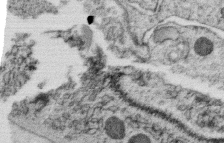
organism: C. elegans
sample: C. elegans oocyte; sperm cells